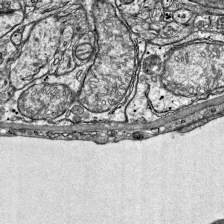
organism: Mouse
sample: Visual Cortex